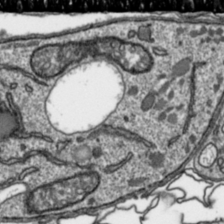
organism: Toxoplasma gondii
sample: Parasites in a vacuole inside a host cell